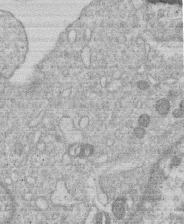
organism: Human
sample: Macrophage cells